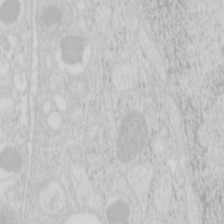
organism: Mouse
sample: Pancreas